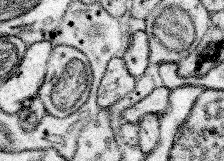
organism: Mouse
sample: Somatosensory cortex neuropil